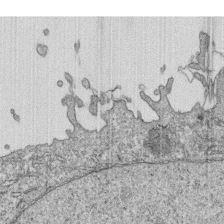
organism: Human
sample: HeLa cell HIV synapse